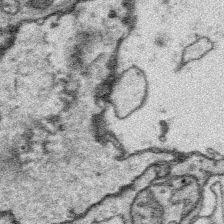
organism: Platynereis dumerilii